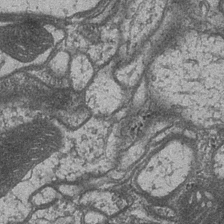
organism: Drosophila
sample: Optic medulla